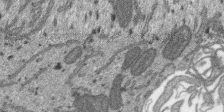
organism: Human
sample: Lung epithelial cells infected with SARS-CoV-2